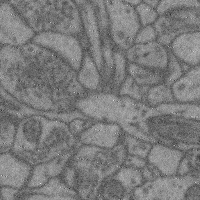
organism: Mouse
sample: Cerebral cortex